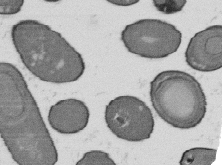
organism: B. subtilis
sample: Bacterial spore